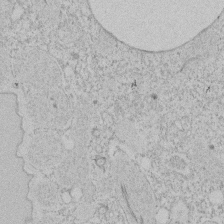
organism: Tetrahymena